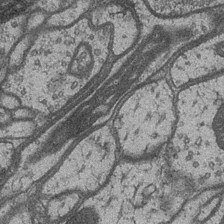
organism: Drosophila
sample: Optic medulla